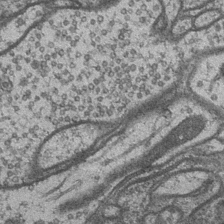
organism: Drosophila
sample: Optic medulla